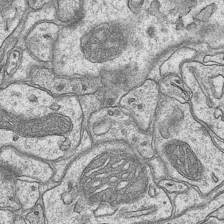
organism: Mouse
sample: CA1 Hippocampus